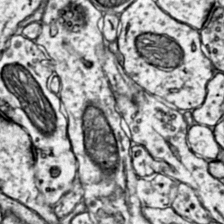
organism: Mouse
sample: Primary visual cortex